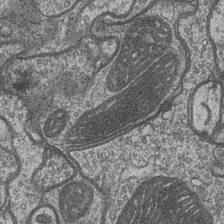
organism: Drosophila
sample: Optic medulla